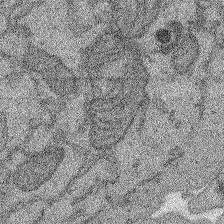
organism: Human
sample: HeLa cells